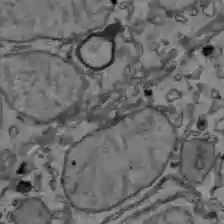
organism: C57BL Mouse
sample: Liver